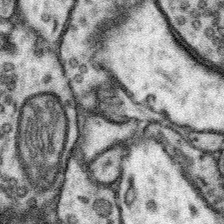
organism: Mouse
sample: Somatosensory cortex neuropil